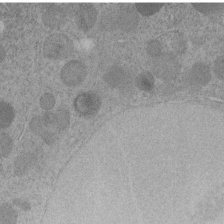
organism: C. elegans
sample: C. elegans embryo early stage